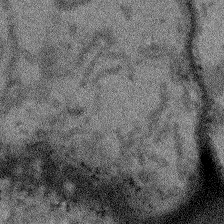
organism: Arabidopsis thaliana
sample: Root tip